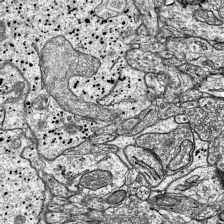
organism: Mouse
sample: Visual Cortex